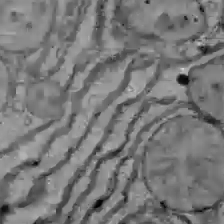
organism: C57BL Mouse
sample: Liver